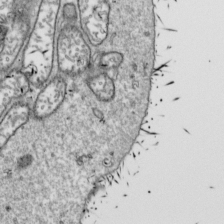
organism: Drosophila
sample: Cell division; meiosis; drosophila spermatocytes